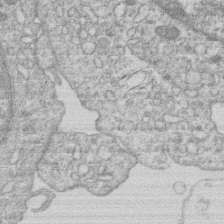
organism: Human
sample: Macrophage cells